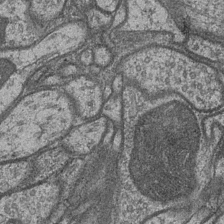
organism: Drosophila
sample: Optic medulla